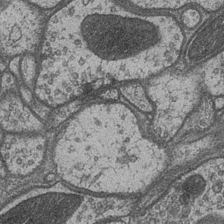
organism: Drosophila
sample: Optic medulla